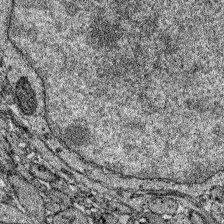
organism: Zebrafish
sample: Larval olfactory bulb